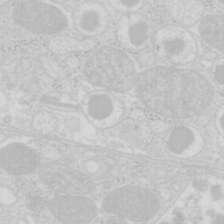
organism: Mouse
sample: Pancreas